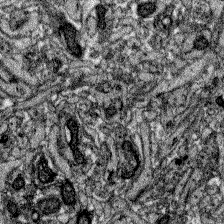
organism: Zebrafish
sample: Larval olfactory bulb